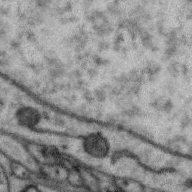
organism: Zebra finch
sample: Brain